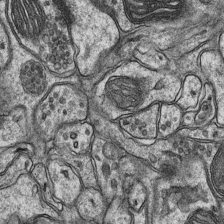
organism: Mouse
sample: CA1 Hippocampus